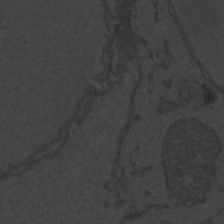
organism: Zebrafish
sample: Macrophage infected with Toxoplasma gondii